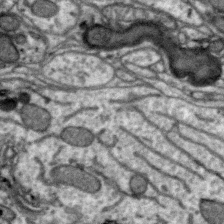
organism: Zebra finch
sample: Brain